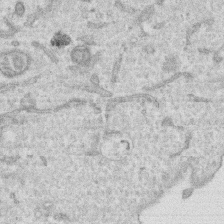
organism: Human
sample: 1205lu cells